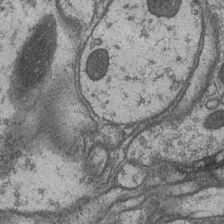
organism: Drosophila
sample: Optic medulla